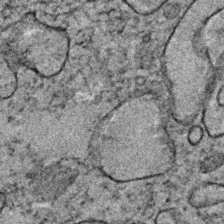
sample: Trachea